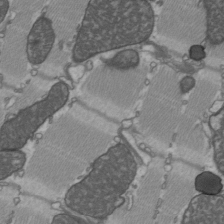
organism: C57BL Mouse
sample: Heart